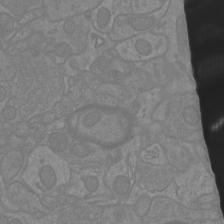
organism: Mouse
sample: Cortical neurons